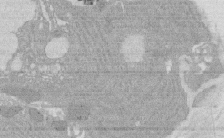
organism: Rat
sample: Salivary granule